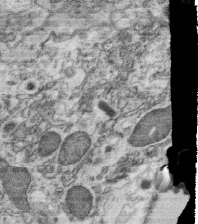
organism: C. elegans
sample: C. elegans oocyte; sperm cells